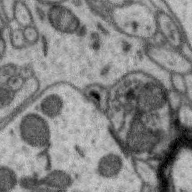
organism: Zebra finch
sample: Brain